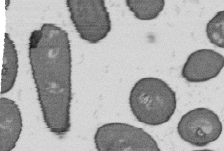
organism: B. subtilis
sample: Bacterial spore